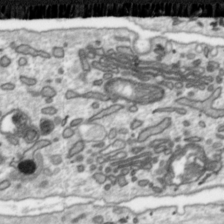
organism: Toxoplasma gondii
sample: Parasites in a vacuole inside a host cell